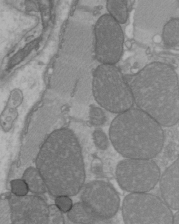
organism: C57BL Mouse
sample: Heart